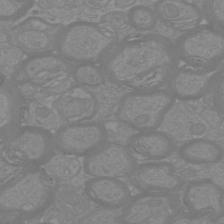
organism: Mouse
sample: Cortical neurons